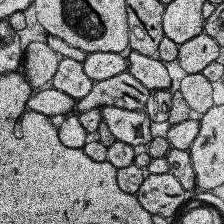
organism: Human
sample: Temporal Lobe